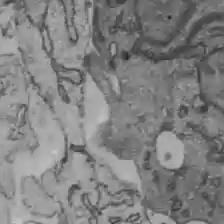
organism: C57BL Mouse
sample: Liver